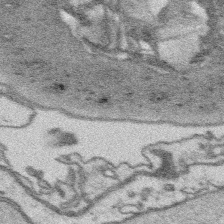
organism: Platynereis dumerilii